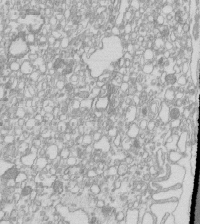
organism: Mouse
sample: Macrophages